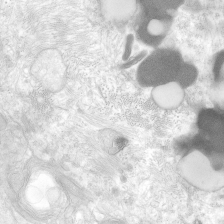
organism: Human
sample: Neocortex